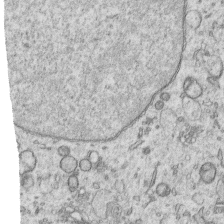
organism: Human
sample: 1205lu cells